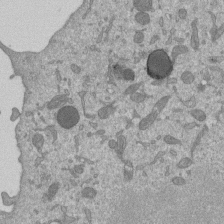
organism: Mouse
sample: ED-1 cell nuclei; centrioles